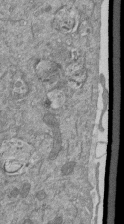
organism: Mouse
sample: ED-1 cell nuclei; centrioles